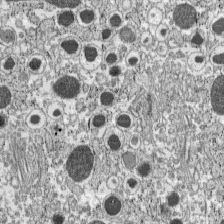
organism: C57BL Mouse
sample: Pancreatic islet